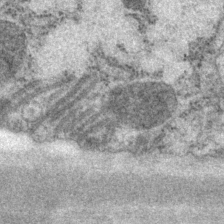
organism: P. pacificus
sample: Pharynx